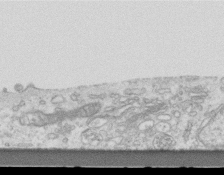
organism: Mouse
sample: Centriole in ependymal cells